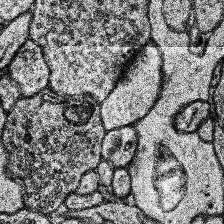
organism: Human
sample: Temporal Lobe